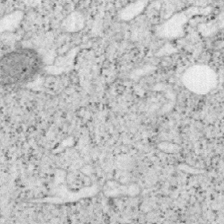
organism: Mouse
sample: OT-I killer T cells with ID8 ovarian cancer cells